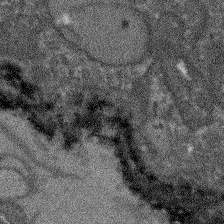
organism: Arabidopsis thaliana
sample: Root tip